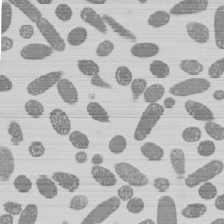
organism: E. coli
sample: Bacterial nucleoid